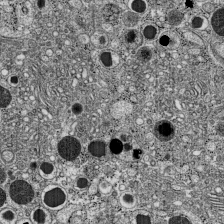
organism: C57BL Mouse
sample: Pancreatic islet